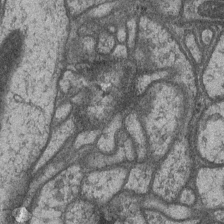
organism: Drosophila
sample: Optic medulla